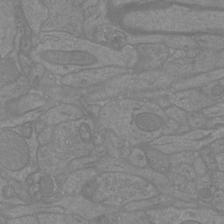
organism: Mouse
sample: Cortical neurons